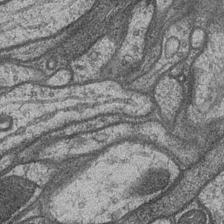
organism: Drosophila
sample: Optic medulla